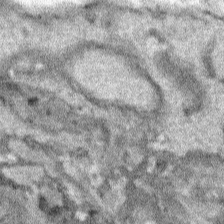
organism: Human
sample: Mitochondria in HCT116 cells